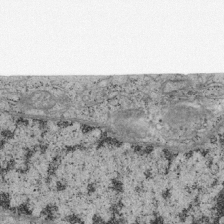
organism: Human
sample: HeLa cells